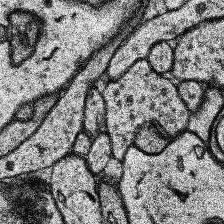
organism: Human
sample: Temporal Lobe